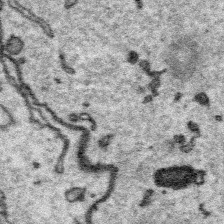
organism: Platynereis dumerilii